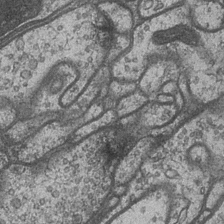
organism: Drosophila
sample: Optic medulla